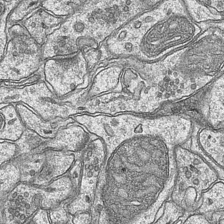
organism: Mouse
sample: CA1 Hippocampus